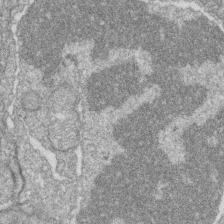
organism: Zebrafish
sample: Cilia; retinal pigment epithelium